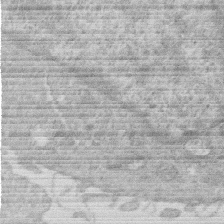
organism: Human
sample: Macrophage cells